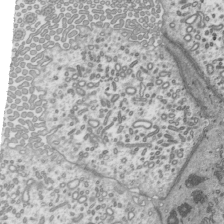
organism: Mouse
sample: Mouse epididymis efferent ductule cilia